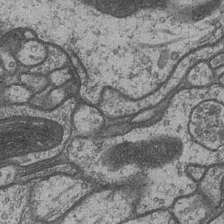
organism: Drosophila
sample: Optic medulla